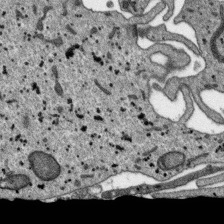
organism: Human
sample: Lung epithelial cells, uninfected (mock) control